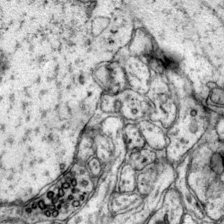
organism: Mouse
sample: Primary visual cortex